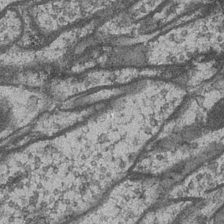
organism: Drosophila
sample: Optic medulla